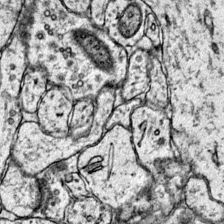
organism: Mouse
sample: Primary visual cortex